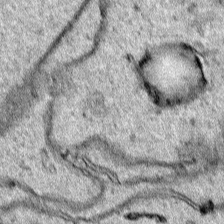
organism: Human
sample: Mitochondria in HCT116 cells